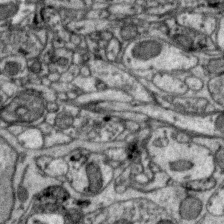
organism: Zebra finch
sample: Brain